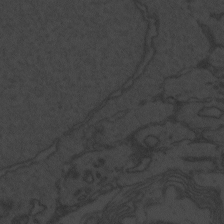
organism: Zebrafish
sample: Macrophage infected with Toxoplasma gondii